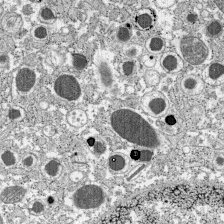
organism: C57BL Mouse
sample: Pancreatic islet